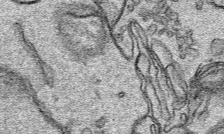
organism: Human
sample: Mitochondria in HCT116 cells